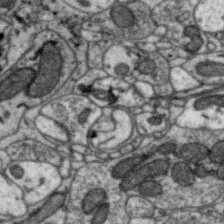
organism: Zebra finch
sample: Brain